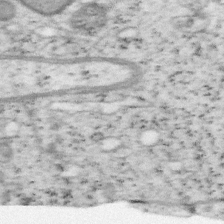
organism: Mouse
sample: OT-I killer T cells with ID8 ovarian cancer cells